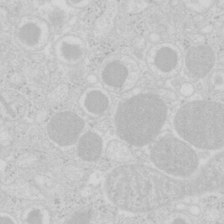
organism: Mouse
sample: Pancreas